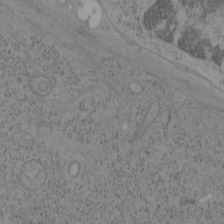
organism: Mouse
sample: OT-I killer T cells with ID8 ovarian cancer cells